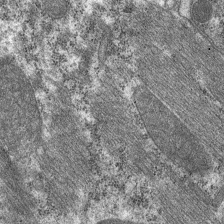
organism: C. elegans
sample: Pharynx